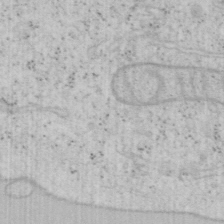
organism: Human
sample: HeLa cells